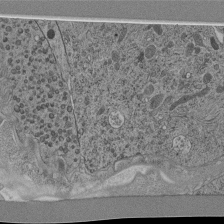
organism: C. elegans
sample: C. elegans pharynx